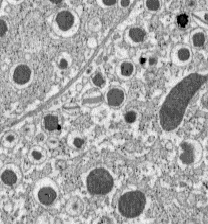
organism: C57BL Mouse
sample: Pancreatic islet